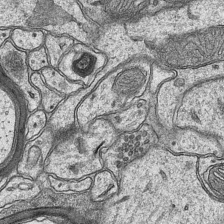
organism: Mouse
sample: CA1 Hippocampus